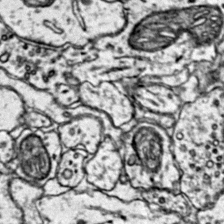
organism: Mouse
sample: Primary visual cortex